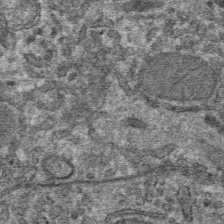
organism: Mouse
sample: Mouse hepatocytes